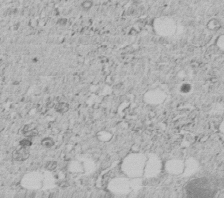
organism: C. elegans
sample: C. elegans embryo early stage